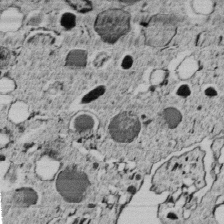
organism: C. elegans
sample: C. elegans embryo early stage